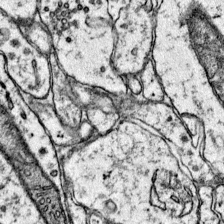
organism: Mouse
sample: Primary visual cortex